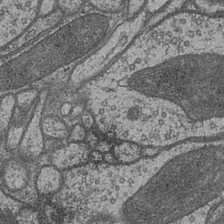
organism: Drosophila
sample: Optic medulla